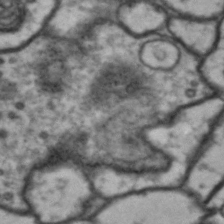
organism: Drosophila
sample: Brain